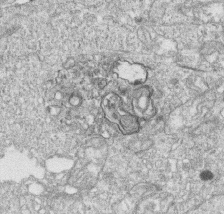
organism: Human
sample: HeLa cell HIV synapse